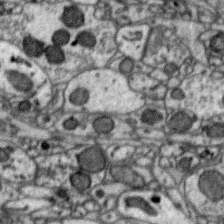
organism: Zebra finch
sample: Brain